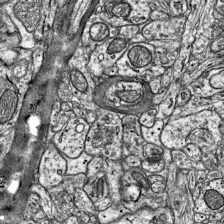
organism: Mouse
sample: Visual Cortex